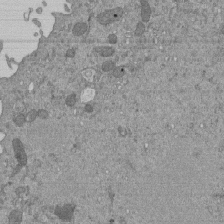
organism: Mouse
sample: ED-1 cell nuclei; centrioles